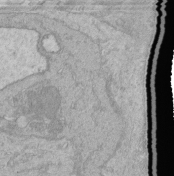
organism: Human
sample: Retinal organoid Rod and Cone cells